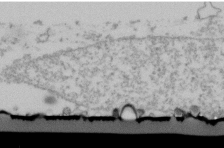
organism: Human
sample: U2-OS cells